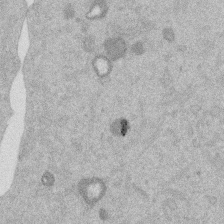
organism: Mouse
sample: Dividing mouse embryo 1 cell stage